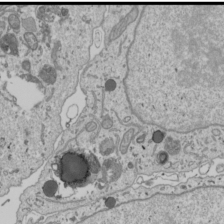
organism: Human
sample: Mitochondria in U2OS cells